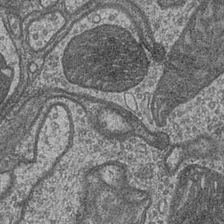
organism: Drosophila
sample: Optic medulla